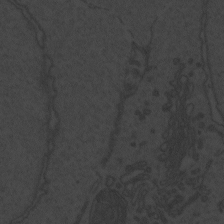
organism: Zebrafish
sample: Macrophage infected with Toxoplasma gondii